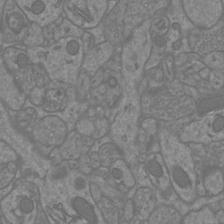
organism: Mouse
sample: Cortical neurons